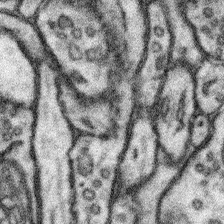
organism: Mouse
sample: Somatosensory cortex neuropil